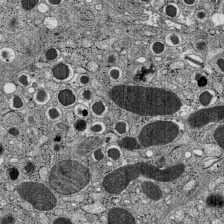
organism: C57BL Mouse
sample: Pancreatic islet